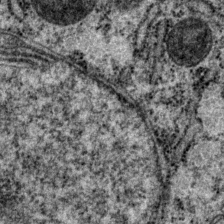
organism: P. pacificus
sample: Pharynx